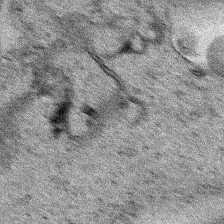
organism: Human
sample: Mitochondria in HCT116 cells